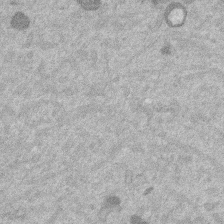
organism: Mouse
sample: Dividing mouse embryo 1 cell stage